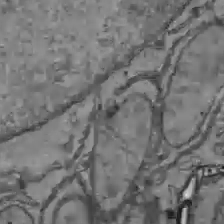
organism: C57BL Mouse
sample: Liver